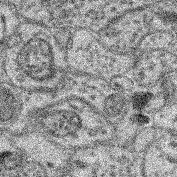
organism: Mouse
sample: Retina